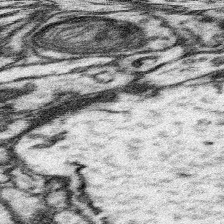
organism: Mouse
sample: Somatosensory cortex neuropil